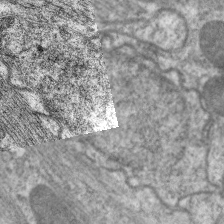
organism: C. elegans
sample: Pharynx